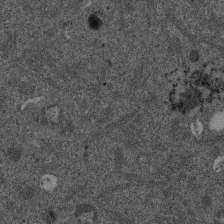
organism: Mouse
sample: Dividing mouse embryo 1 cell stage